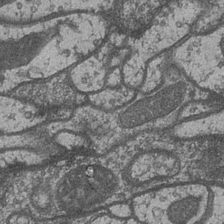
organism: Drosophila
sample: Optic medulla